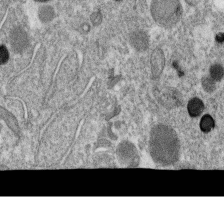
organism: C. elegans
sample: C. elegans oocyte; sperm cells